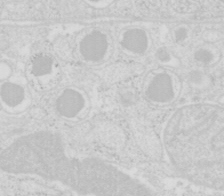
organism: Mouse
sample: Pancreas